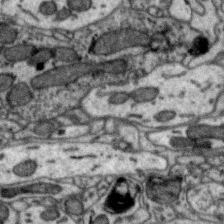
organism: Zebra finch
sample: Brain